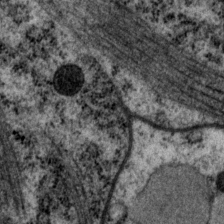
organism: P. pacificus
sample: Pharynx